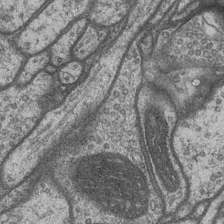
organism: Drosophila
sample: Optic medulla